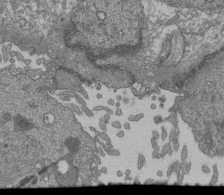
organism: Human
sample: Retinal organoid Rod and Cone cells